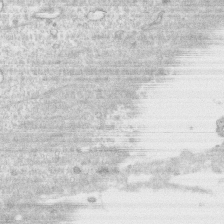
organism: Human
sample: CRL-1474